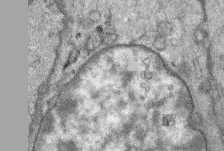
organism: Mouse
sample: Corneal nerves